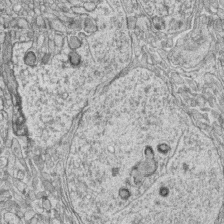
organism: Zebrafish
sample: synaptic ribbons in rod cells and cone cells